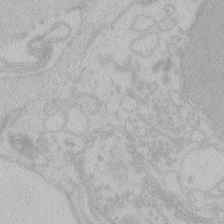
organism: Zebrafish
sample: Macrophage infected with Toxoplasma gondii